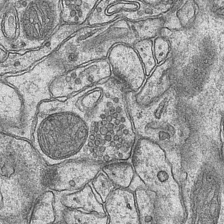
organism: Mouse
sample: CA1 Hippocampus